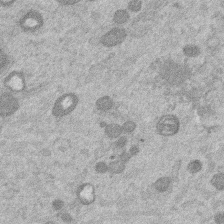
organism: Mouse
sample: Dividing mouse embryo 1 cell stage